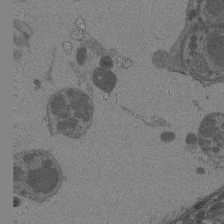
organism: Drosophila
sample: Antenna